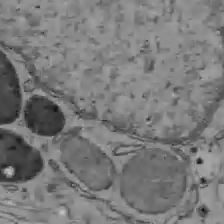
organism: C57BL Mouse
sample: Liver